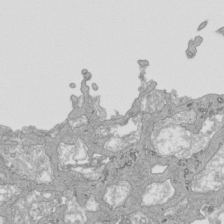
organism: Human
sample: Mitochondria in HCT116 cells